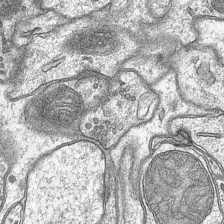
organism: Mouse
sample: CA1 Hippocampus